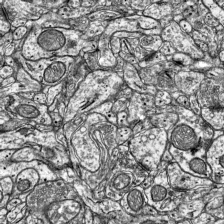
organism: Mouse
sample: Visual Cortex